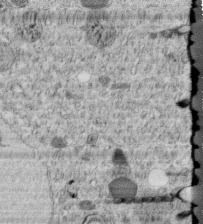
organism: C. elegans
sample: C. elegans embryo early stage